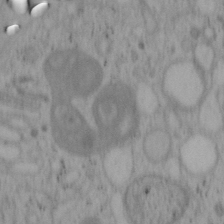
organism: Mouse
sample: OT-I killer T cells with ID8 ovarian cancer cells